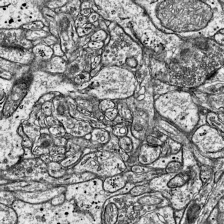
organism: Mouse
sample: Visual Cortex